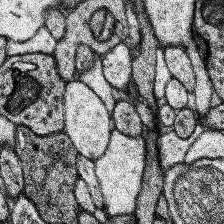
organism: Human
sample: Temporal Lobe